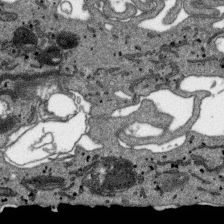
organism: Human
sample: Lung epithelial cells, uninfected (mock) control